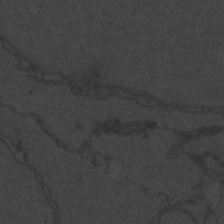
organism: Zebrafish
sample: Macrophage infected with Toxoplasma gondii